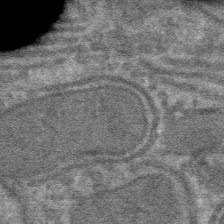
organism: Mouse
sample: Mouse hepatocytes